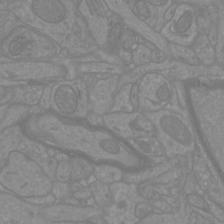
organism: Mouse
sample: Cortical neurons